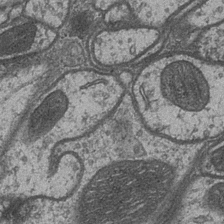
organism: Drosophila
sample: Optic medulla